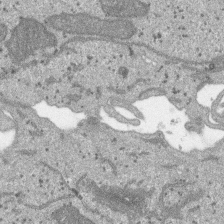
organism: Human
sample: Lung epithelial cells infected with SARS-CoV-2